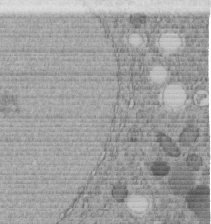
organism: C. elegans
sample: C. elegans embryo early stage